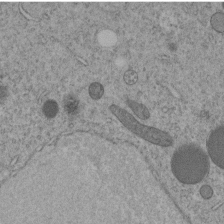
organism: C. elegans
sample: C. elegans embryo early stage